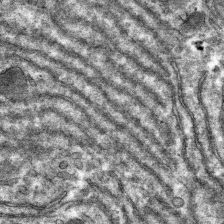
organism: Mouse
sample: Mouse hepatocytes